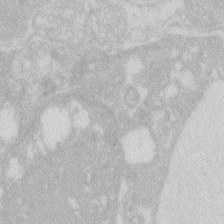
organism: Zebrafish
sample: Macrophage